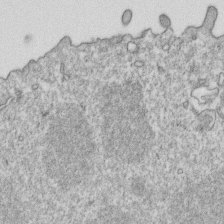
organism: Mouse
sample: Activated OT-1 CD8+ T cells